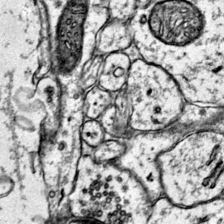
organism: Mouse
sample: Primary visual cortex